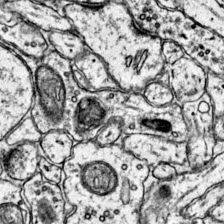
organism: Mouse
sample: Primary visual cortex